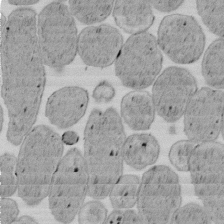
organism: E. coli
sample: Bacterial nucleoid